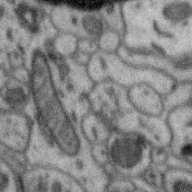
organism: Zebra finch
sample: Brain